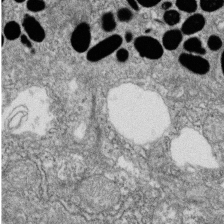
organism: Zebrafish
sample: Cilia; retinal pigment epithelium